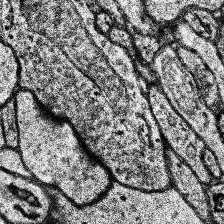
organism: Human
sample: Temporal Lobe